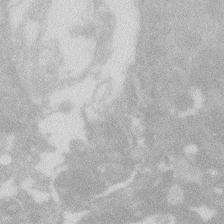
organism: Zebrafish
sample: Macrophage